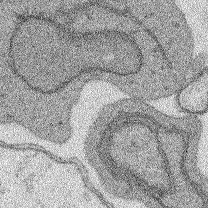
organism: Human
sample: HeLa cells